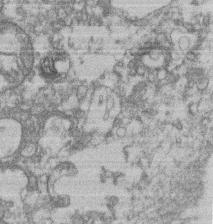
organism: Mouse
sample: T cell stromal cell synapse